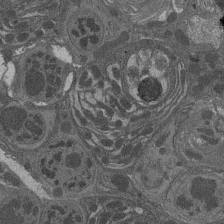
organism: Drosophila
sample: Antenna